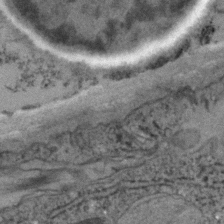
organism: C. elegans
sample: C. elegans embryo